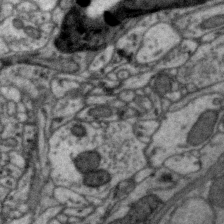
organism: Zebra finch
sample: Brain